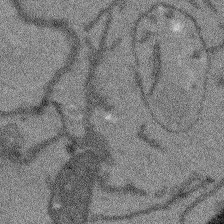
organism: Arabidopsis thaliana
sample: Root tip